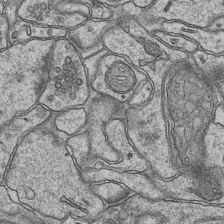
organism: Mouse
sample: CA1 Hippocampus